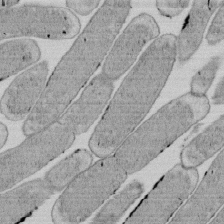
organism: E. coli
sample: Bacterial nucleoid